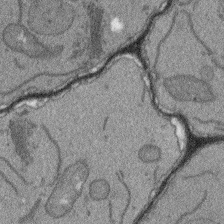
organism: Arabidopsis thaliana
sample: Root tip